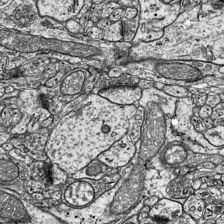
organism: Mouse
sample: Visual Cortex